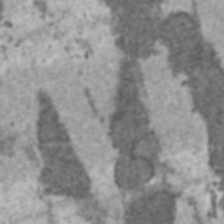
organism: C57BL Mouse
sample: Heart